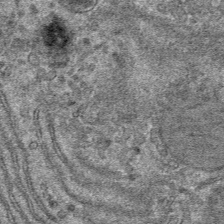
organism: Mouse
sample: Mouse hepatocytes